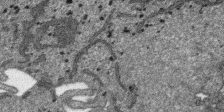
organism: Human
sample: Lung epithelial cells infected with SARS-CoV-2